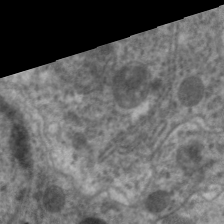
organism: C. elegans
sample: Pharynx